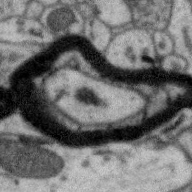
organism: Zebra finch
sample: Brain